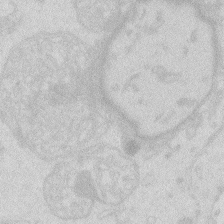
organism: Zebrafish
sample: Macrophage